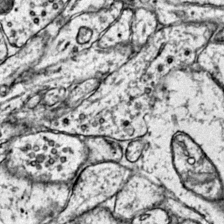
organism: Mouse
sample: Primary visual cortex